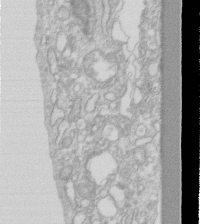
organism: Human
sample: Fibroblast cells